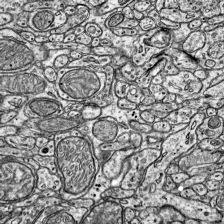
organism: Mouse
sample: Visual Cortex